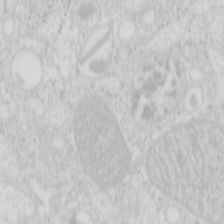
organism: Mouse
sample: Pancreas